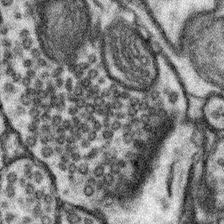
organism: Mouse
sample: Somatosensory cortex neuropil